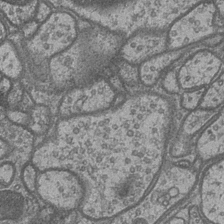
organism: Drosophila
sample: Optic medulla